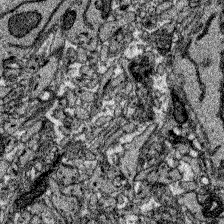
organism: Zebrafish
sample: Larval olfactory bulb